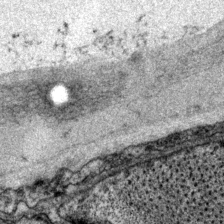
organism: P. pacificus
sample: Pharynx